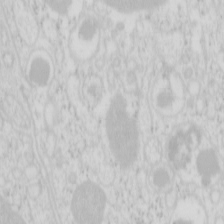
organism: Mouse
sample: Pancreas